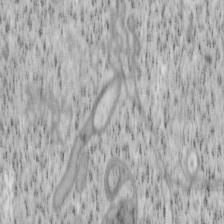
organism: Human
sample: HeLa cells